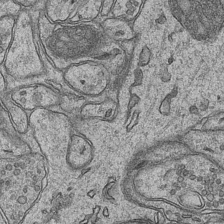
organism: Mouse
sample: CA1 Hippocampus